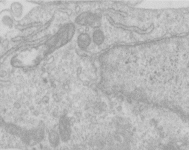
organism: Human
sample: Centriole in RPE cells